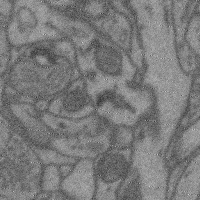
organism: Mouse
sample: Cerebral cortex